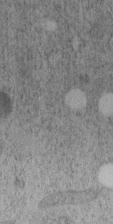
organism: C. elegans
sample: C. elegans embryo early stage